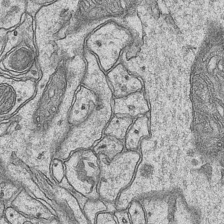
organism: Mouse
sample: CA1 Hippocampus